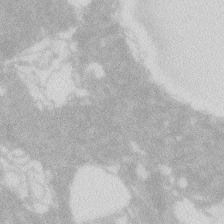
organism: Zebrafish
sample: Macrophage